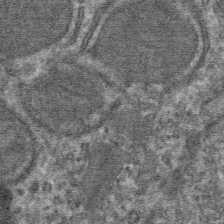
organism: Mouse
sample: Mouse hepatocytes